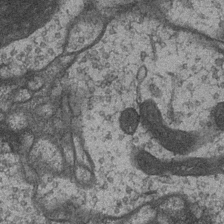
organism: Drosophila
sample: Optic medulla